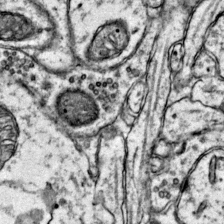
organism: Mouse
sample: Primary visual cortex